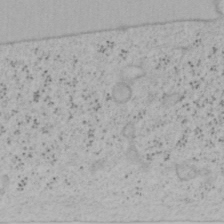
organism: Human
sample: HeLa cells